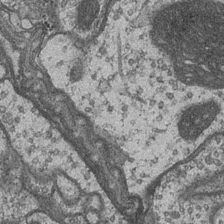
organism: Drosophila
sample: Optic medulla